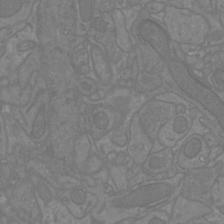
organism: Mouse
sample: Cortical neurons